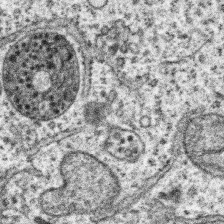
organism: Human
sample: HeLa cells